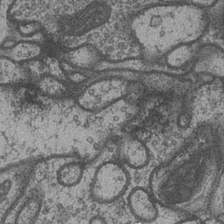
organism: Drosophila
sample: Optic medulla